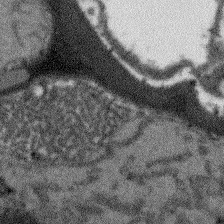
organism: Arabidopsis thaliana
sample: Root tip